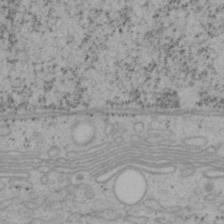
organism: Human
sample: HeLa cells